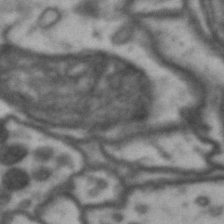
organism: Drosophila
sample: Brain